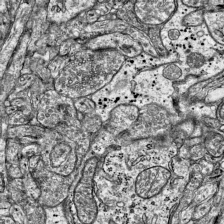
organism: Mouse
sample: Visual Cortex